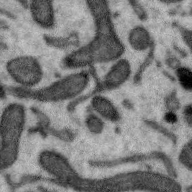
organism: Zebra finch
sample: Brain